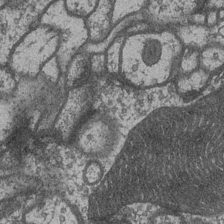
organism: Drosophila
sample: Optic medulla